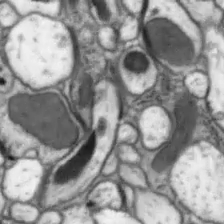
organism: Drosophila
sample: Optic lobe